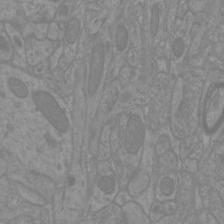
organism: Mouse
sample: Cortical neurons